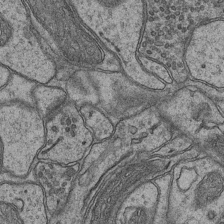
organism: Mouse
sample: CA1 Hippocampus